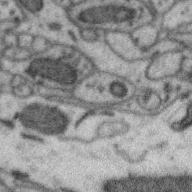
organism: Zebra finch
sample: Brain